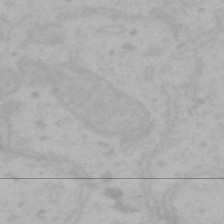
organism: Mouse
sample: Choroid plexus